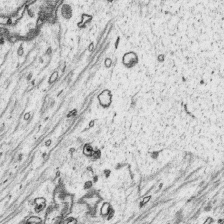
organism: Platynereis dumerilii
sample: Parapodia